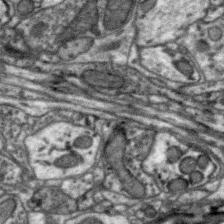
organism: Zebra finch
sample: Brain